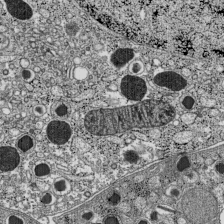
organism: C57BL Mouse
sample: Pancreatic islet